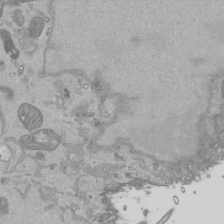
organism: Human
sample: Mitochondria in HCT116 cells